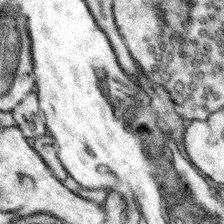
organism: Mouse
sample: Somatosensory cortex neuropil